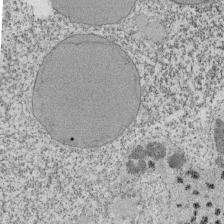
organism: Tetrahymena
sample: Cilia in tetrahymena